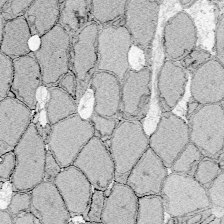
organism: Zebrafish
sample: Whole-Brain